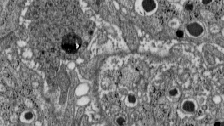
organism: C57BL Mouse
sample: Pancreatic islet